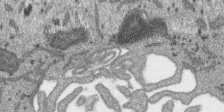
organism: Human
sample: Lung epithelial cells infected with SARS-CoV-2